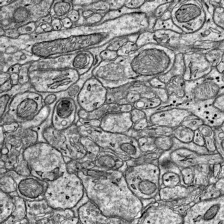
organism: Mouse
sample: Visual Cortex